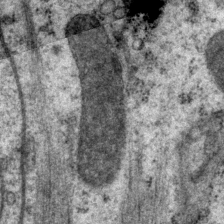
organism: P. pacificus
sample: Pharynx